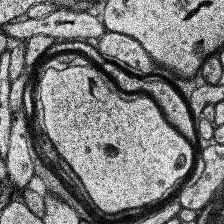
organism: Human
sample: Temporal Lobe